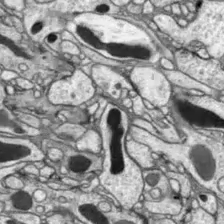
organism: Drosophila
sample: Optic lobe